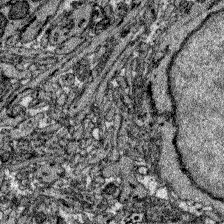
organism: Zebrafish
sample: Larval olfactory bulb